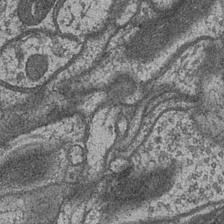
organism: Drosophila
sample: Optic medulla